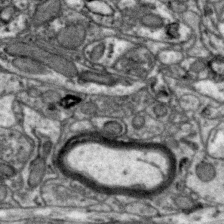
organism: Zebra finch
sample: Brain